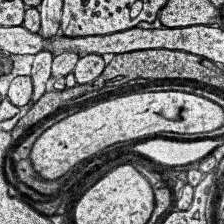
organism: Human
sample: Temporal Lobe